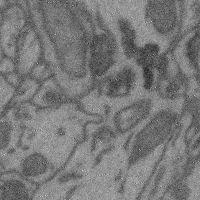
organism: Mouse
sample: Cerebral cortex